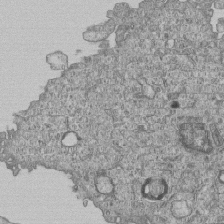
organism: Human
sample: MDA-MB-231 cells